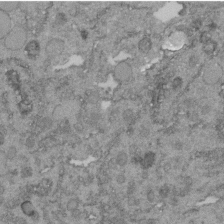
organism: C. elegans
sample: C. elegans embryo early stage